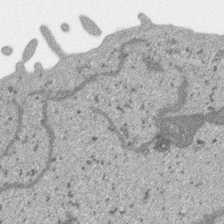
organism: Human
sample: Lung epithelial cells infected with SARS-CoV-2